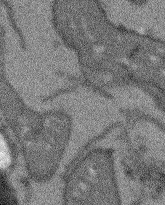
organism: Arabidopsis thaliana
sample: Root tip